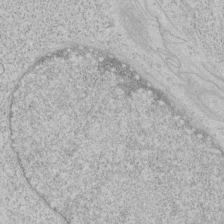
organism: Human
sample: Mitochondria in HCT116 cells